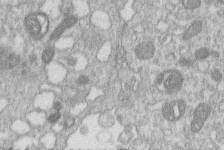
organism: Human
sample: Macrophage cells